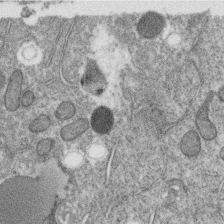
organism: C. elegans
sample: C. elegans oocyte; sperm cells